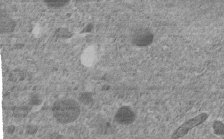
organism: C. elegans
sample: C. elegans embryo early stage